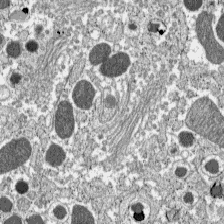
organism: C57BL Mouse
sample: Pancreatic islet